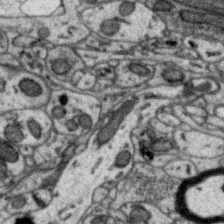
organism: Zebra finch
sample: Brain